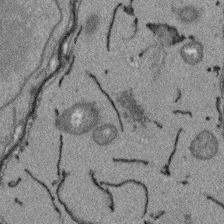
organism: Arabidopsis thaliana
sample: Root tip